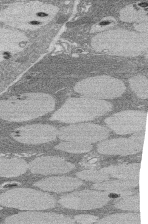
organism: Rat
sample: Salivary granule